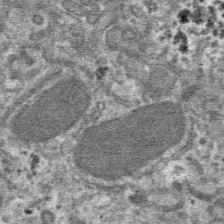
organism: Mouse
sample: Mouse hepatocytes